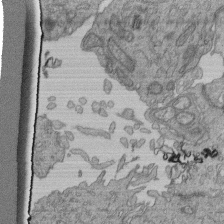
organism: Human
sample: Retinal organoid Rod and Cone cells